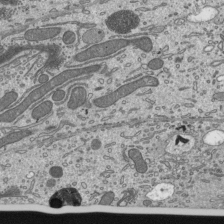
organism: Mouse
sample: Mouse epididymis efferent ductule cilia